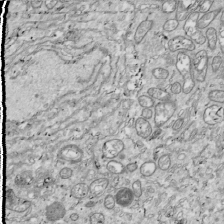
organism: Drosophila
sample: Cell division; meiosis; drosophila spermatocytes